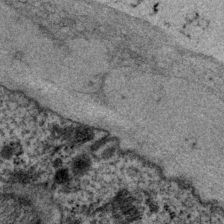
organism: P. pacificus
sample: Pharynx